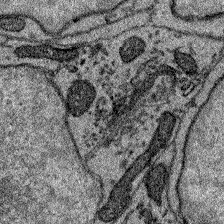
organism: Zebrafish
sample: Larval olfactory bulb